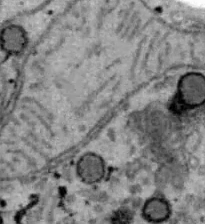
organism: Mouse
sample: Liver from an obese (ob/ob) mouse